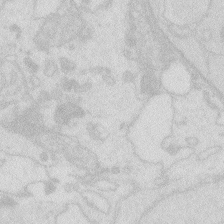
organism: Zebrafish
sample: Macrophage